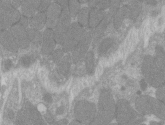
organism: C57BL Mouse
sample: Tibialis anterior muscle cell